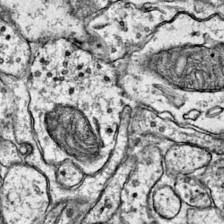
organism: Mouse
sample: Primary visual cortex